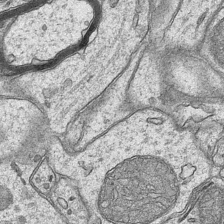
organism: Mouse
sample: CA1 Hippocampus